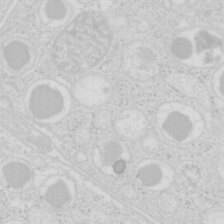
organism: Mouse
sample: Pancreas